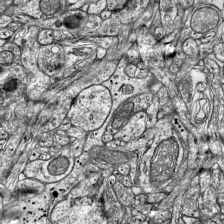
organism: Mouse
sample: Visual Cortex